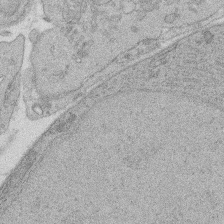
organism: Rat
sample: Salivary granule